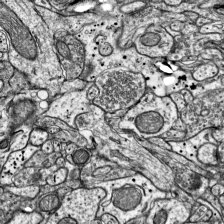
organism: Mouse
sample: Visual Cortex